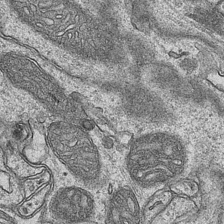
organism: Mouse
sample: CA1 Hippocampus